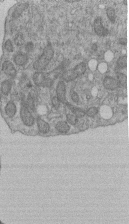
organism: Human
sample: Retinal organoid Rod and Cone cells